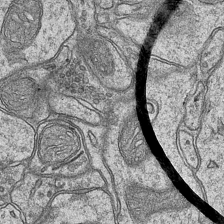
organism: Mouse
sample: CA1 Hippocampus